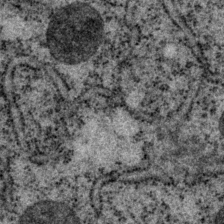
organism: P. pacificus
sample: Pharynx